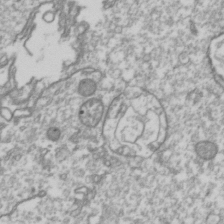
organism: Drosophila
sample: Cell division; meiosis; drosophila spermatocytes